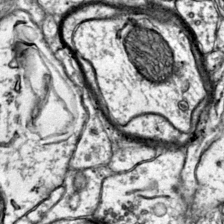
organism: Mouse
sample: Primary visual cortex